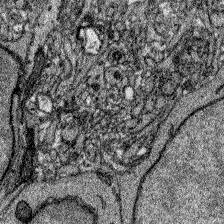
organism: Zebrafish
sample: Larval olfactory bulb